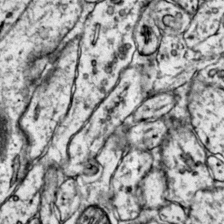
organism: Mouse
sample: Primary visual cortex